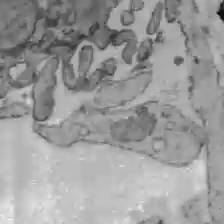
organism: C57BL Mouse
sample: Liver